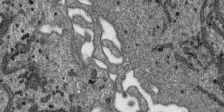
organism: Human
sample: Lung epithelial cells infected with SARS-CoV-2